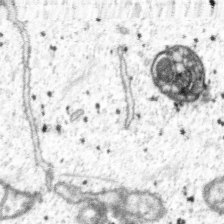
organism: Human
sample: HeLa cells